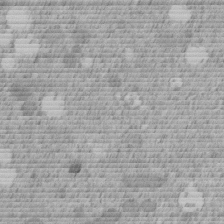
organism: C. elegans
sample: C. elegans embryo early stage